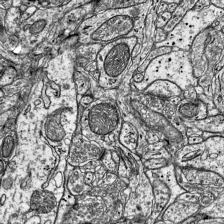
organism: Mouse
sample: Visual Cortex